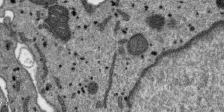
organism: Human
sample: Lung epithelial cells, uninfected (mock) control